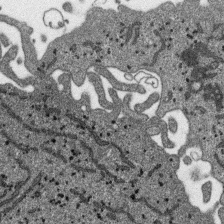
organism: Human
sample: Lung epithelial cells infected with SARS-CoV-2